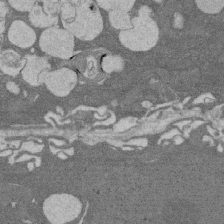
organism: Rat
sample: Salivary granule